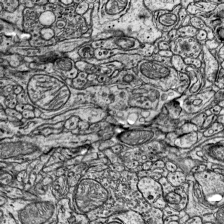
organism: Mouse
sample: Visual Cortex